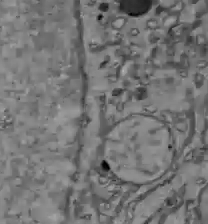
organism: C57BL Mouse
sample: Liver